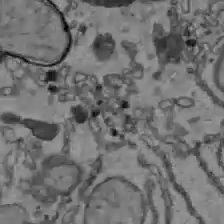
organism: C57BL Mouse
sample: Liver